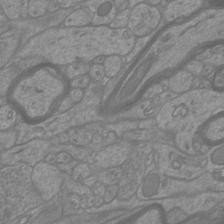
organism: Mouse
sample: Cortical neurons